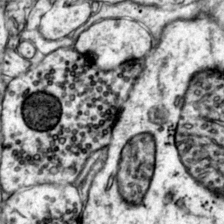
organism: Mouse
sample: Primary visual cortex